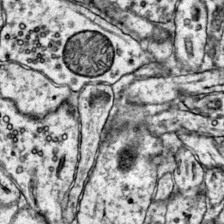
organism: Mouse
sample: Primary visual cortex